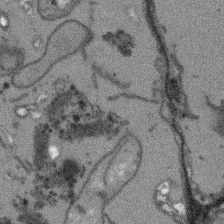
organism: Arabidopsis thaliana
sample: Root tip